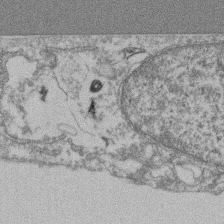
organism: Mouse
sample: T cell stromal cell synapse